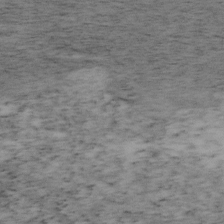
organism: Mouse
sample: OT-I killer T cells with ID8 ovarian cancer cells